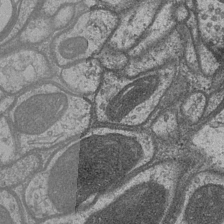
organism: Drosophila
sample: Optic medulla